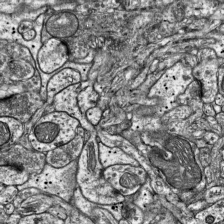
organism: Mouse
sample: Visual Cortex